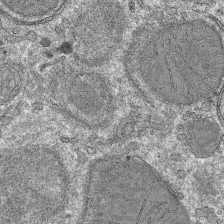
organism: Mouse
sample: Mouse hepatocytes